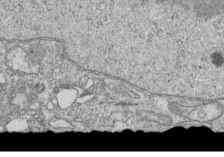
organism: Human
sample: HeLa cell HIV synapse